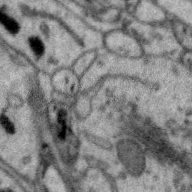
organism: Zebra finch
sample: Brain